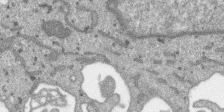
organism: Human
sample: Lung epithelial cells infected with SARS-CoV-2